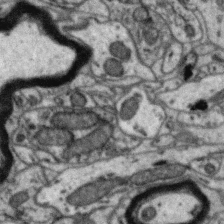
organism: Zebra finch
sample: Brain